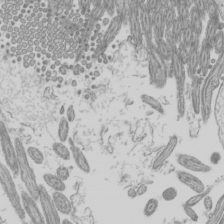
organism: Mouse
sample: Cilia; mouse epididymis